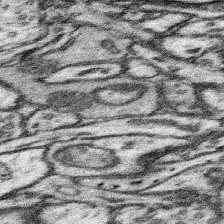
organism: Mouse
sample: Somatosensory cortex neuropil